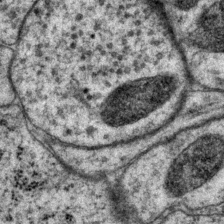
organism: P. pacificus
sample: Pharynx